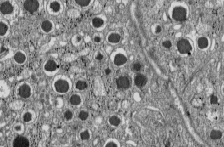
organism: C57BL Mouse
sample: Pancreatic islet